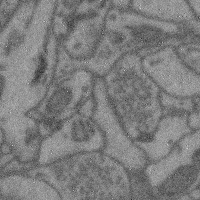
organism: Mouse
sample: Cerebral cortex